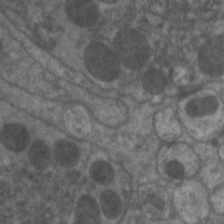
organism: C. elegans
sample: Pharynx